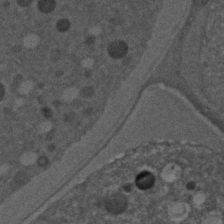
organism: C. elegans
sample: C. elegans embryo